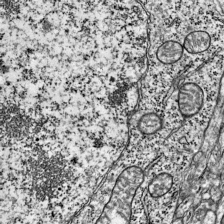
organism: Mouse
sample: Visual Cortex